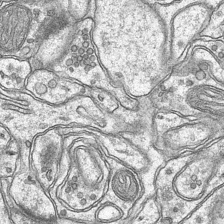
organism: Mouse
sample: CA1 Hippocampus